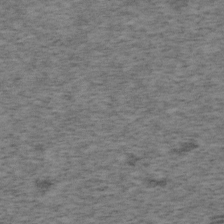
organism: Mouse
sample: OT-I killer T cells with ID8 ovarian cancer cells